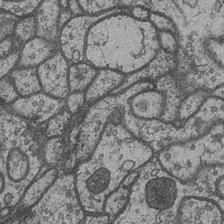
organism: Drosophila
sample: Optic medulla